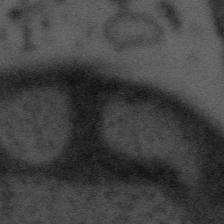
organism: Tuwongella immobilis